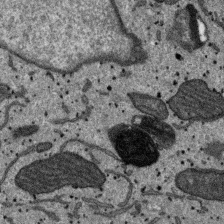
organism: Human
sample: Lung epithelial cells, uninfected (mock) control